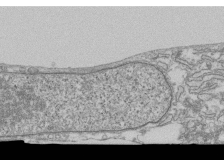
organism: Human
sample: Fibroblast cells